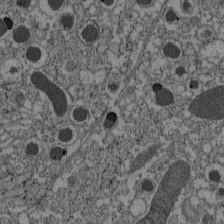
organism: C57BL Mouse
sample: Pancreatic islet